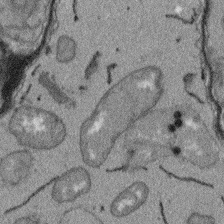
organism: Arabidopsis thaliana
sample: Root tip